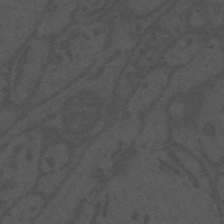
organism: Mouse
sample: Suprachiasmatic nucleus